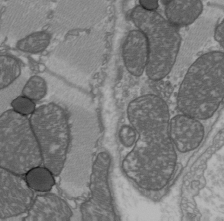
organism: C57BL Mouse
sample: Heart